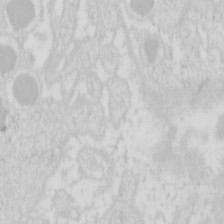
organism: Mouse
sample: Pancreas